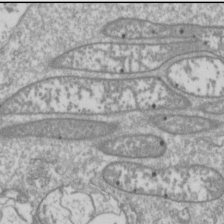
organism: Drosophila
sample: Cell division; meiosis; drosophila spermatocytes